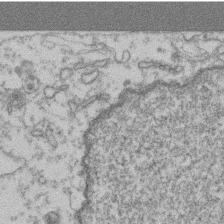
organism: Mouse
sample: T cell stromal cell synapse